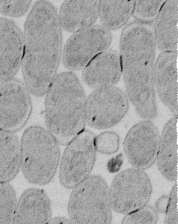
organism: E. coli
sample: Bacterial nucleoid